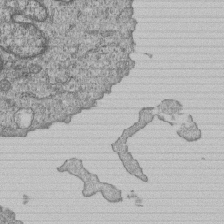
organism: Human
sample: MDA-MB-231 cells